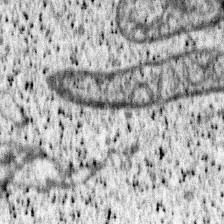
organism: Human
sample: HeLa cells